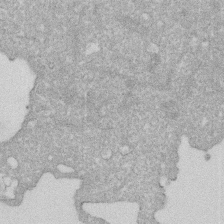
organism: Human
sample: HIV infected U937 cells